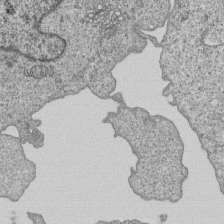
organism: Human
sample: MDA-MB-231 cells